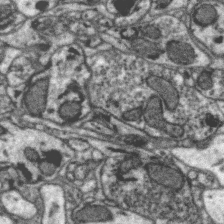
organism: Zebra finch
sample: Brain